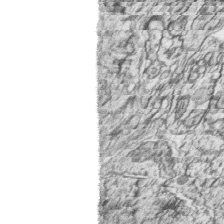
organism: Zebrafish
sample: synaptic ribbons in rod cells and cone cells